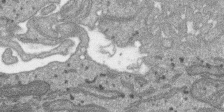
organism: Human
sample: Lung epithelial cells infected with SARS-CoV-2